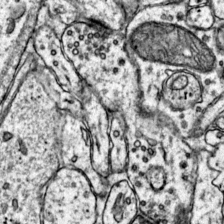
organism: Mouse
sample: Primary visual cortex